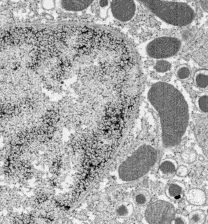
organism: C57BL Mouse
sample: Pancreatic islet